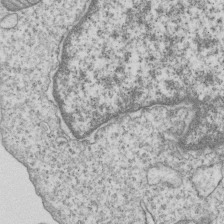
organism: Human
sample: MDA-MB-231 cells